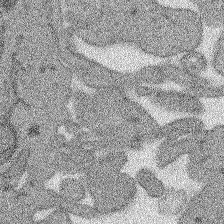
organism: Human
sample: HeLa cells